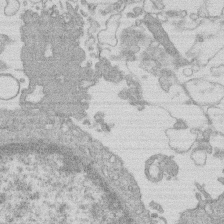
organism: Human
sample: Macrophage cells